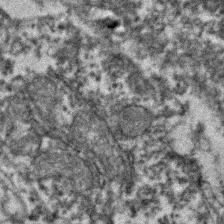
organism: Zebrafish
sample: Zebrafish embryo